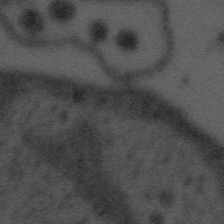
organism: Tuwongella immobilis